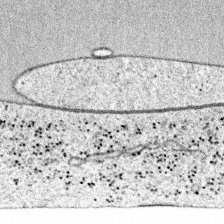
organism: Human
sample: HeLa cells